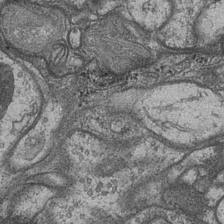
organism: Drosophila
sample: Optic medulla